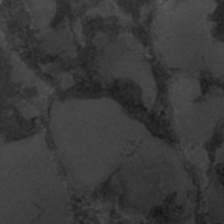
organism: C. elegans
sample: C. elegans embryo